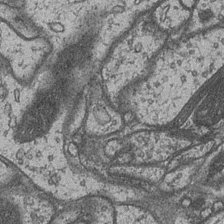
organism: Drosophila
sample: Optic medulla